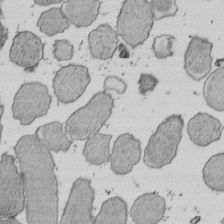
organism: E. coli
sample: Bacterial nucleoid